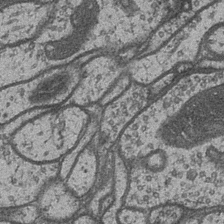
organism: Drosophila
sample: Optic medulla